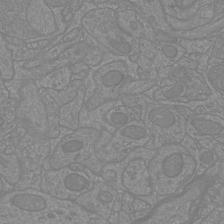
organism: Mouse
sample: Cortical neurons